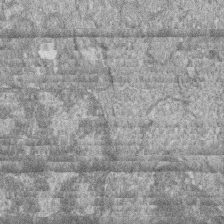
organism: Zebrafish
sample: Cilia; retinal pigment epithelium